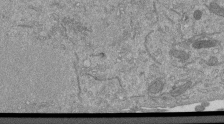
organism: Mouse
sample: ED-1 cell nuclei; centrioles